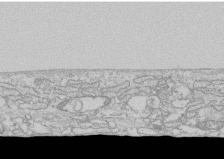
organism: Human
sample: CRL-1474